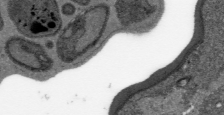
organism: Plasmodium falciparum